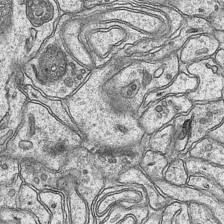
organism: Mouse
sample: CA1 Hippocampus